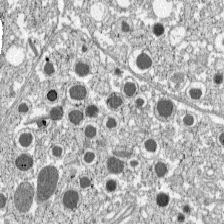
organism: C57BL Mouse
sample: Pancreatic islet